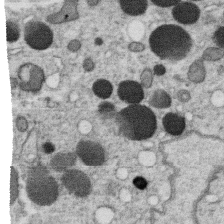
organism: C. elegans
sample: C. elegans oocyte; sperm cells